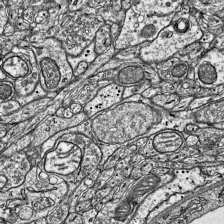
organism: Mouse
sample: Visual Cortex